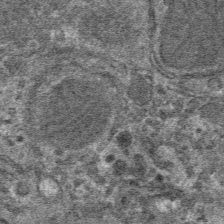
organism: Mouse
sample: Mouse hepatocytes